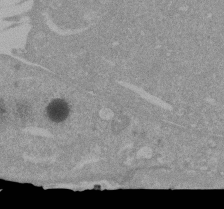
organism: Mouse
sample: ED-1 cell nuclei; centrioles